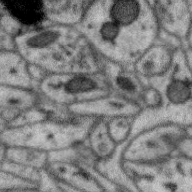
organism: Zebra finch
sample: Brain